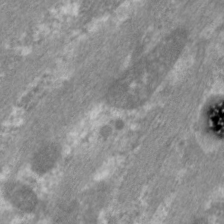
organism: C. elegans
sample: Pharynx